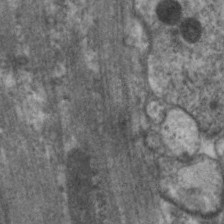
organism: C. elegans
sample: Pharynx